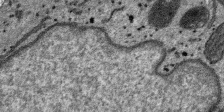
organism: Human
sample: Lung epithelial cells, uninfected (mock) control